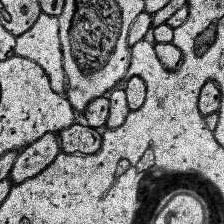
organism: Human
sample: Temporal Lobe